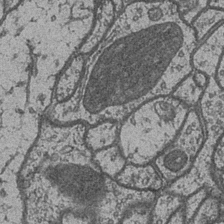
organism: Drosophila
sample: Optic medulla